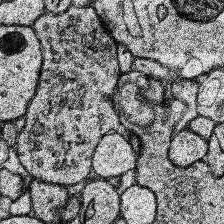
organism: Human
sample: Temporal Lobe